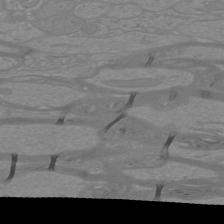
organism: Mouse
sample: Cortical neurons